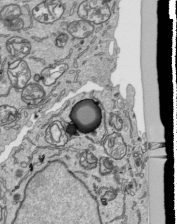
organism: Human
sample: Mitochondria in HCT116 cells